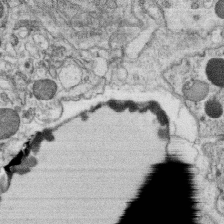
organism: C. elegans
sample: C. elegans oocyte; sperm cells